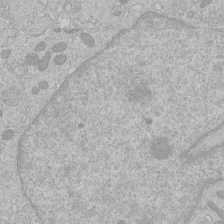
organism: Human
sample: Macrophage cells